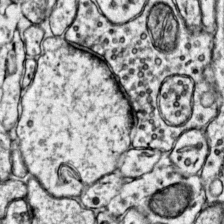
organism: Mouse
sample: Primary visual cortex